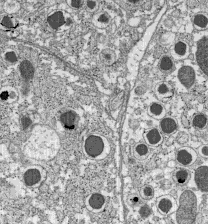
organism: C57BL Mouse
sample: Pancreatic islet